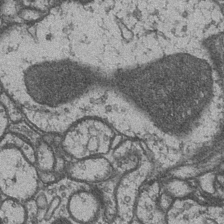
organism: Drosophila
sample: Optic medulla